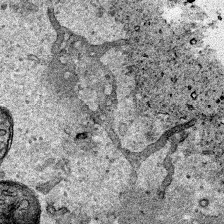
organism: Human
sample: Mitochondria in HCT116 cells